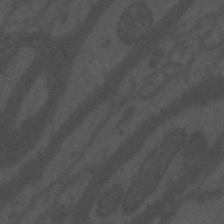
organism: Mouse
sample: Suprachiasmatic nucleus